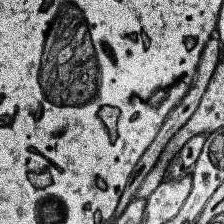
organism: Human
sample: Temporal Lobe